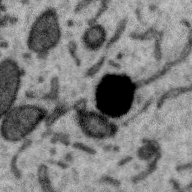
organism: Zebra finch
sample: Brain